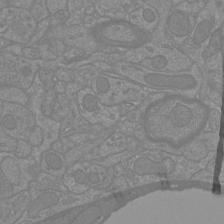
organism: Mouse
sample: Cortical neurons